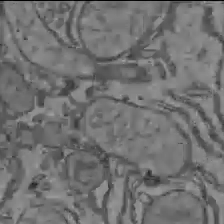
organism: C57BL Mouse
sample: Liver